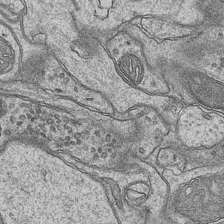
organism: Mouse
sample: CA1 Hippocampus